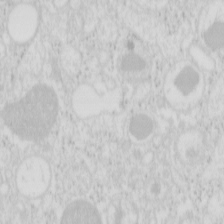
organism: Mouse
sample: Pancreas